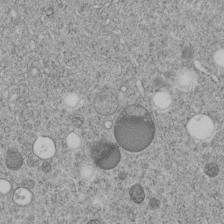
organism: C. elegans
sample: C. elegans embryo early stage